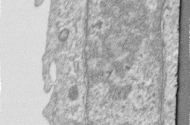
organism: Human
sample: Centriole in RPE cells